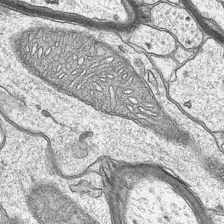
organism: Mouse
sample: CA1 Hippocampus